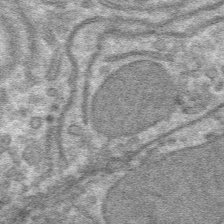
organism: Mouse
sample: Mouse hepatocytes